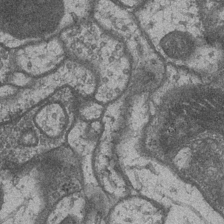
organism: Drosophila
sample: Optic medulla